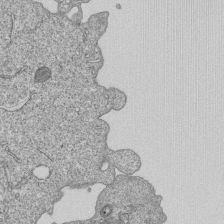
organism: Human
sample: MDA-MB-231 cells